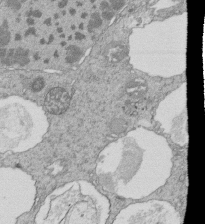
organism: Tetrahymena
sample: Cilia in tetrahymena